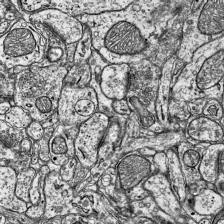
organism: Mouse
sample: Visual Cortex